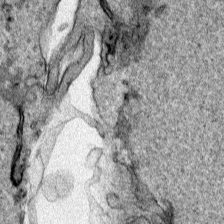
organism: Human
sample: Mitochondria in HCT116 cells